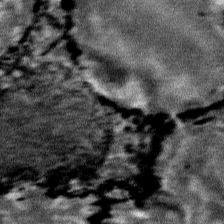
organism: Mouse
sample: Mouse Salivary gland